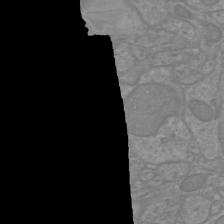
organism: Mouse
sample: Cortical neurons